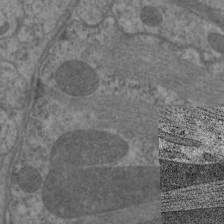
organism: C. elegans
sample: Pharynx